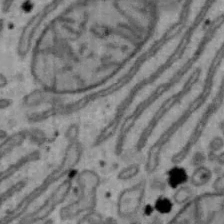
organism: Mouse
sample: Liver